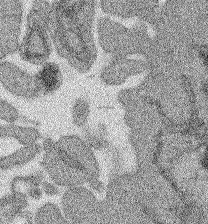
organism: Human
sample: HeLa cells